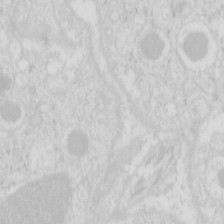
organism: Mouse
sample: Pancreas